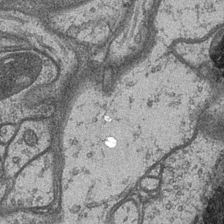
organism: Drosophila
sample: Optic medulla